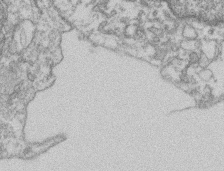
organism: Mouse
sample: T cell stromal cell synapse